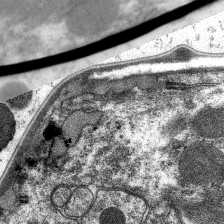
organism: C. elegans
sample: Pharynx